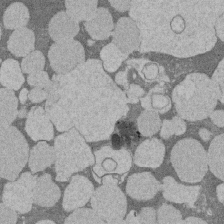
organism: Rat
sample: Salivary granule